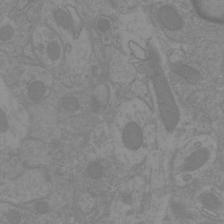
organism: Mouse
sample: Cortical neurons